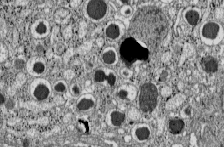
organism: C57BL Mouse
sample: Pancreatic islet